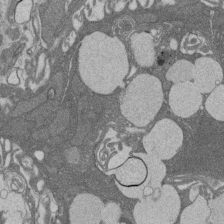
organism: Rat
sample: Salivary granule